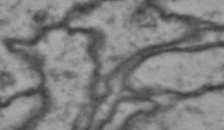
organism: Drosophila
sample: Brain